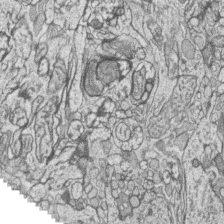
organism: Zebrafish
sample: synaptic ribbons in rod cells and cone cells